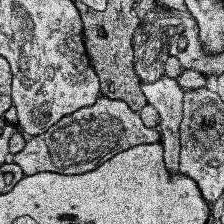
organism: Human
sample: Temporal Lobe